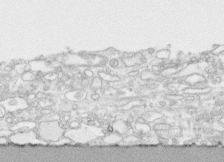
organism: Human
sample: CRL-1474